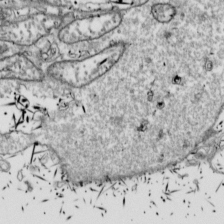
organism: Drosophila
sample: Cell division; meiosis; drosophila spermatocytes